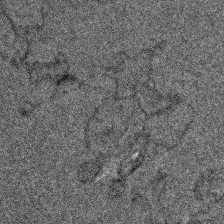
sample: Trachea